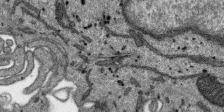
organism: Human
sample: Lung epithelial cells, uninfected (mock) control